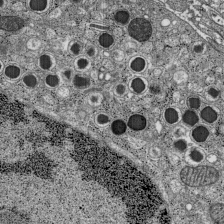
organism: C57BL Mouse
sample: Pancreatic islet